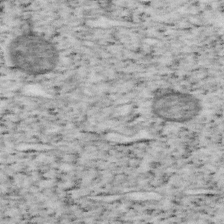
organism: Mouse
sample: OT-I killer T cells with ID8 ovarian cancer cells